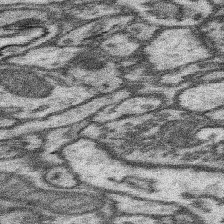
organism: Mouse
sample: Somatosensory cortex neuropil